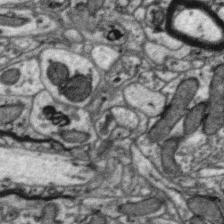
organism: Zebra finch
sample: Brain